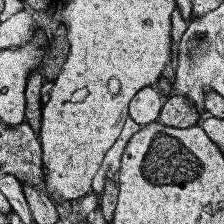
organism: Human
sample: Temporal Lobe